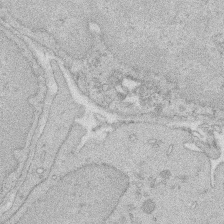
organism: Rat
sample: Salivary granule